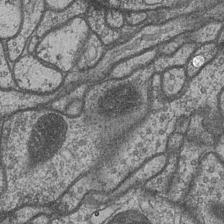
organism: Drosophila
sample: Optic medulla